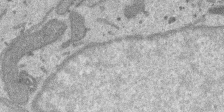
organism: Human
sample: Lung epithelial cells infected with SARS-CoV-2